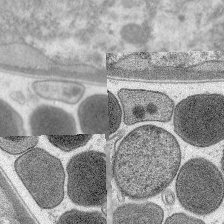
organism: C. elegans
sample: Pharynx